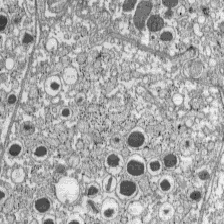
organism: C57BL Mouse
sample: Pancreatic islet